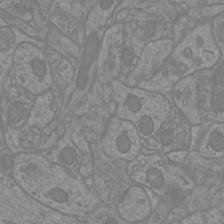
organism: Mouse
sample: Cortical neurons